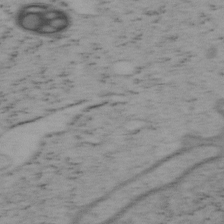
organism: Mouse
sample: OT-I killer T cells with ID8 ovarian cancer cells